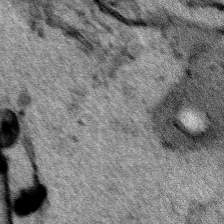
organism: Human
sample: Mitochondria in HCT116 cells